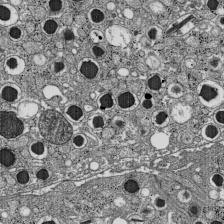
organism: C57BL Mouse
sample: Pancreatic islet